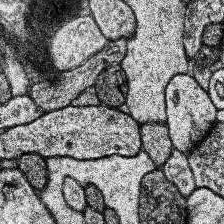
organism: Human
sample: Temporal Lobe